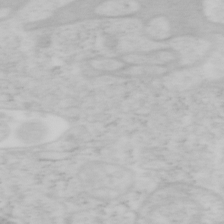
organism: Mouse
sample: OT-I killer T cells with ID8 ovarian cancer cells